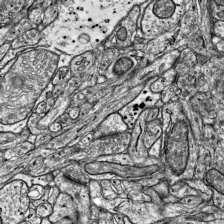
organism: Mouse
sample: Visual Cortex